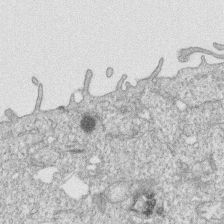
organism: Human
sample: HeLa cell HIV synapse